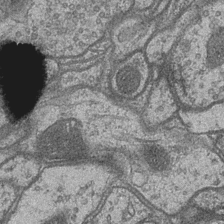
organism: Drosophila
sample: Optic medulla